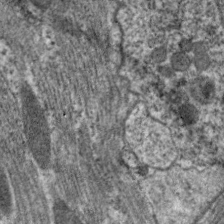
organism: C. elegans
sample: Pharynx